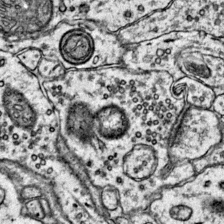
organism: Mouse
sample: Primary visual cortex